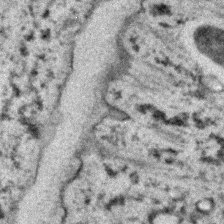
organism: C. elegans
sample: C. elegans embryo